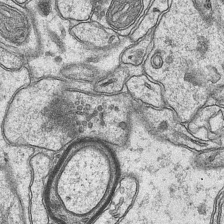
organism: Mouse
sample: CA1 Hippocampus